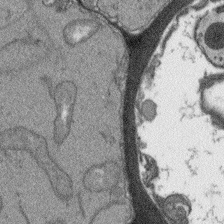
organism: Arabidopsis thaliana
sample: Root tip